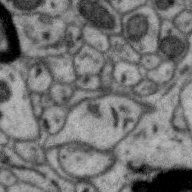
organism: Zebra finch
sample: Brain